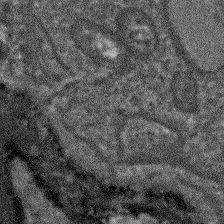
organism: Arabidopsis thaliana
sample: Root tip